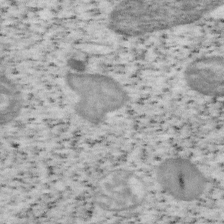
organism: Mouse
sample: OT-I killer T cells with ID8 ovarian cancer cells